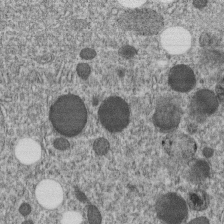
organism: C. elegans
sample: C. elegans embryo early stage